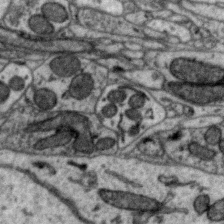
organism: Zebra finch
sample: Brain